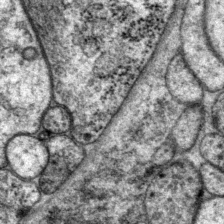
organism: P. pacificus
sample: Pharynx